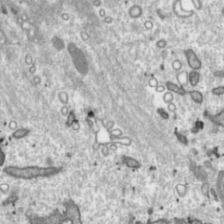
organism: Toxoplasma gondii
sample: Parasites in a vacuole inside a host cell